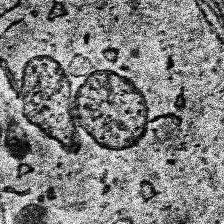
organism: Human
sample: Temporal Lobe